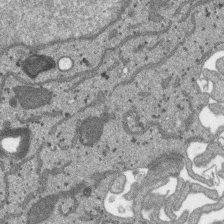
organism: Human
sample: Lung epithelial cells infected with SARS-CoV-2